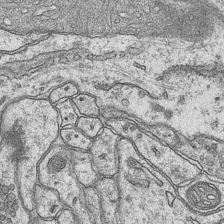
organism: Mouse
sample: CA1 Hippocampus